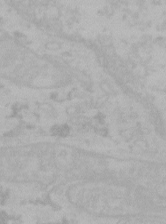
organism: Mouse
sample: Choroid plexus